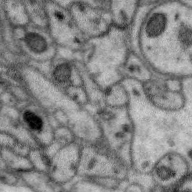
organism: Zebra finch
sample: Brain